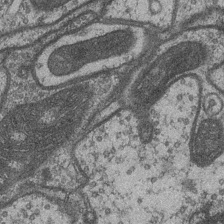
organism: Drosophila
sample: Optic medulla